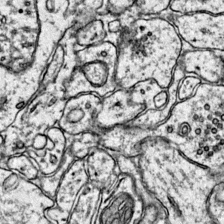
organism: Mouse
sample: Primary visual cortex